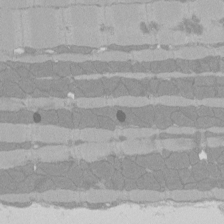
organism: Rat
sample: Left ventricle